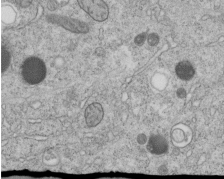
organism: C. elegans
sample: C. elegans embryo early stage